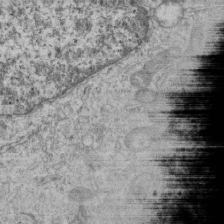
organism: Human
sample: MDA-MB-231 cells